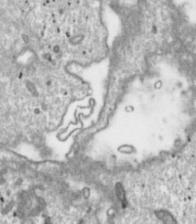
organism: Toxoplasma gondii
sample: Parasites in a vacuole inside a host cell